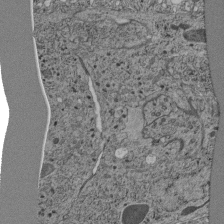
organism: C. elegans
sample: C. elegans pharynx